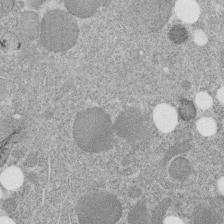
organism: C. elegans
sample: C. elegans embryo early stage